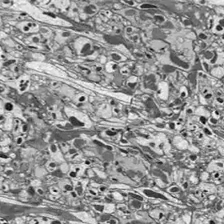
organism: Drosophila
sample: Optic lobe